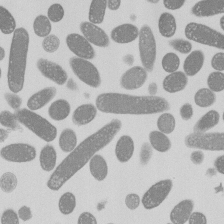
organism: E. coli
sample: Bacterial nucleoid